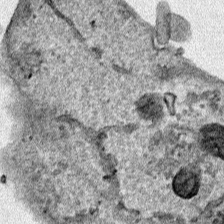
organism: Human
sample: Mitochondria in HCT116 cells